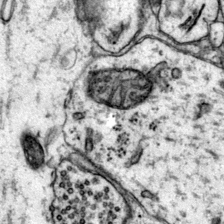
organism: Mouse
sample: Primary visual cortex